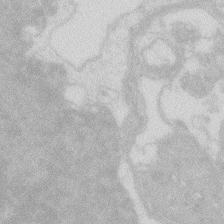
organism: Zebrafish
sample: Macrophage